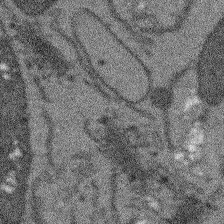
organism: Arabidopsis thaliana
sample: Root tip